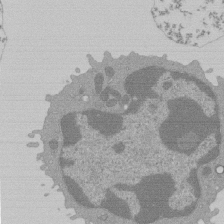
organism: Mouse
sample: Activated Pmel transgenic CD8+ T Cells